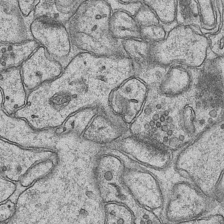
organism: Mouse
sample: CA1 Hippocampus